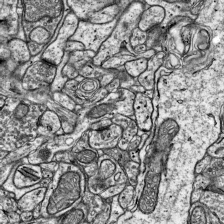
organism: Mouse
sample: Visual Cortex